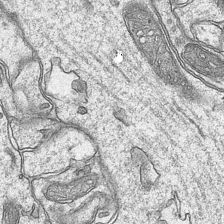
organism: Mouse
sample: CA1 Hippocampus